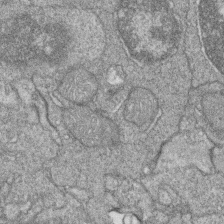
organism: Zebrafish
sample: Cilia; retinal pigment epithelium